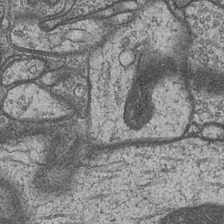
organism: Drosophila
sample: Optic medulla